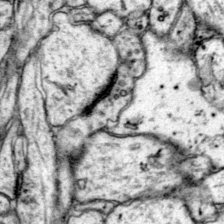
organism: Mouse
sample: Primary visual cortex